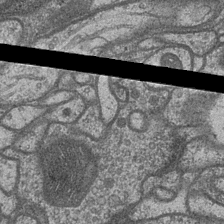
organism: Drosophila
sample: Optic medulla